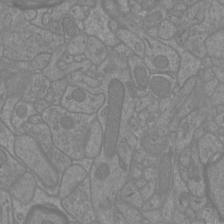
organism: Mouse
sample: Cortical neurons